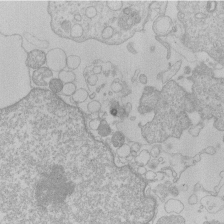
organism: Human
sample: Macrophage cells